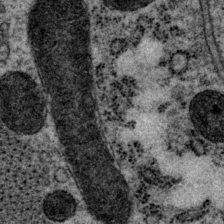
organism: P. pacificus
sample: Pharynx